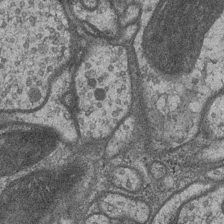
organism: Drosophila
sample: Optic medulla